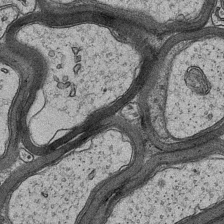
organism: Mouse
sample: CA1 Hippocampus